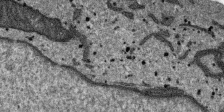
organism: Human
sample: Lung epithelial cells, uninfected (mock) control